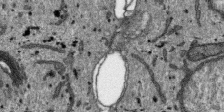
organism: Human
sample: Lung epithelial cells, uninfected (mock) control